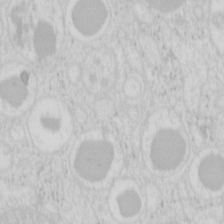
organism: Mouse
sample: Pancreas